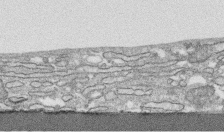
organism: Human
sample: CRL-1474